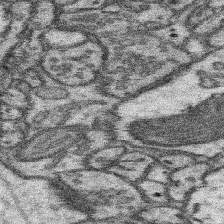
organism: Mouse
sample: Somatosensory cortex neuropil